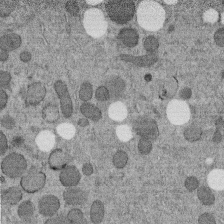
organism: C. elegans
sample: C. elegans embryo early stage